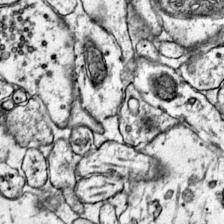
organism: Mouse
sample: Primary visual cortex